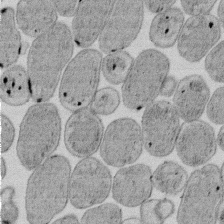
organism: E. coli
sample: Bacterial nucleoid